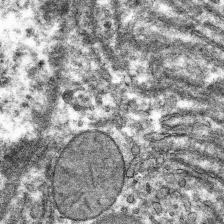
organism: Mouse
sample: Mouse hepatocytes